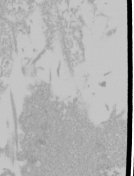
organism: Mouse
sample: Cancer cell death in ED-1 cells